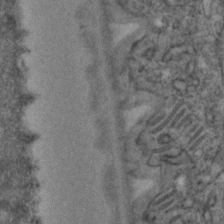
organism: C. elegans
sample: C. elegans embryo